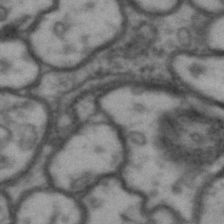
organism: Drosophila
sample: Brain